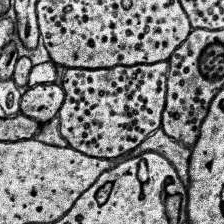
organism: Human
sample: Temporal Lobe